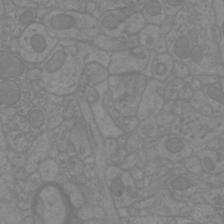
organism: Mouse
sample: Cortical neurons